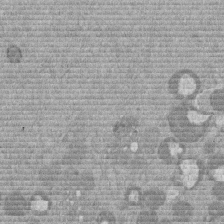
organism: Mouse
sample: Dividing mouse embryo 1 cell stage